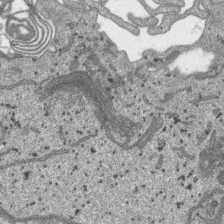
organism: Human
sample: Lung epithelial cells infected with SARS-CoV-2